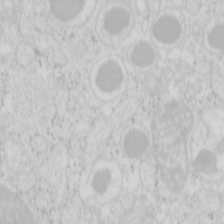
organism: Mouse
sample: Pancreas